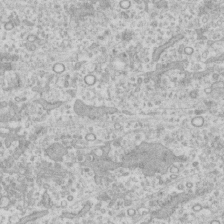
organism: Human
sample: CRL-1474